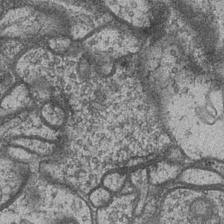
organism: Drosophila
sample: Optic medulla